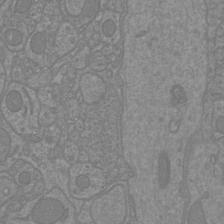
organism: Mouse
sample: Cortical neurons